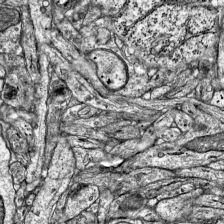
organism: Mouse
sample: Visual Cortex